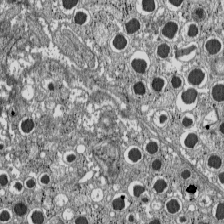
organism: C57BL Mouse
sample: Pancreatic islet